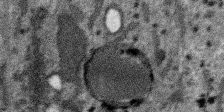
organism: Human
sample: Lung epithelial cells infected with SARS-CoV-2